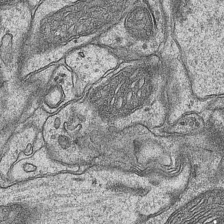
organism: Mouse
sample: CA1 Hippocampus